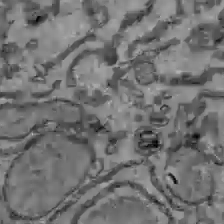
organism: C57BL Mouse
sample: Liver